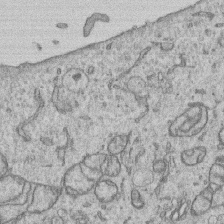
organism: Human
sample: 1205lu cells